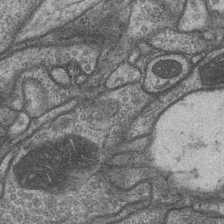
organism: Drosophila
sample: Optic medulla